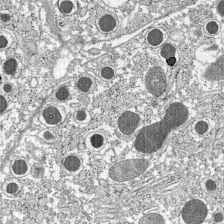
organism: C57BL Mouse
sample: Pancreatic islet